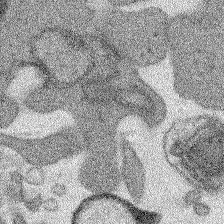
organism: Human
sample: HeLa cells